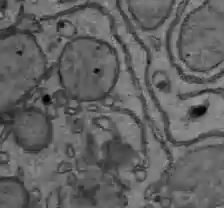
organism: C57BL Mouse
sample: Liver